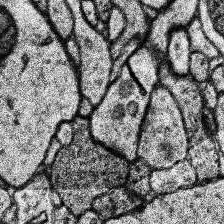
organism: Human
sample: Temporal Lobe